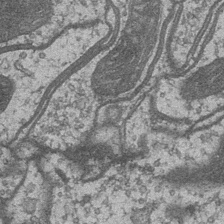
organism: Drosophila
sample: Optic medulla